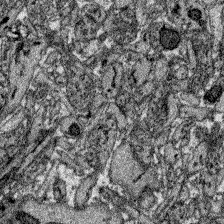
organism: Zebrafish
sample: Larval olfactory bulb